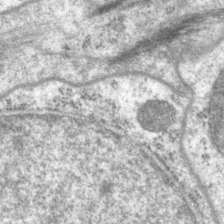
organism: P. pacificus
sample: Pharynx